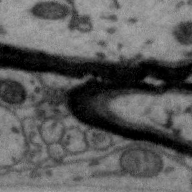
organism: Zebra finch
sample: Brain